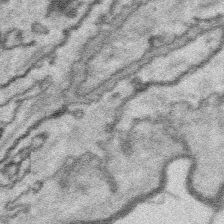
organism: Platynereis dumerilii